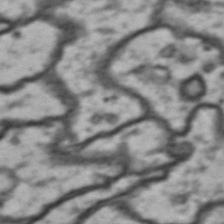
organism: Drosophila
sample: Brain